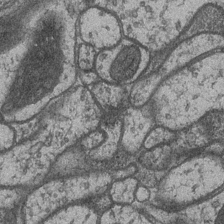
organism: Drosophila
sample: Optic medulla